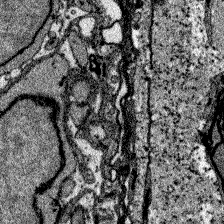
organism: Zebrafish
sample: Larval olfactory bulb